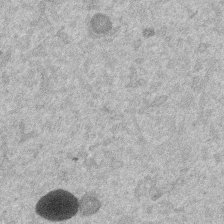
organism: Mouse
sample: Dividing mouse embryo 1 cell stage